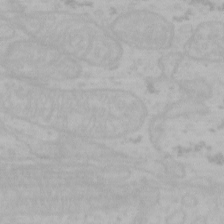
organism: Mouse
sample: Choroid plexus